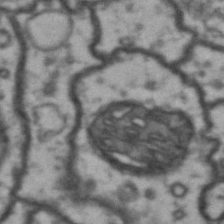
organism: Drosophila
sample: Brain